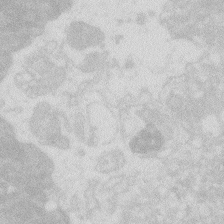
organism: Zebrafish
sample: Macrophage